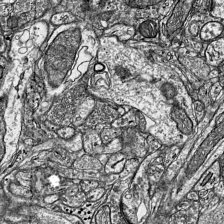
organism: Mouse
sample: Visual Cortex